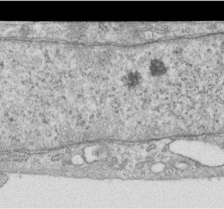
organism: Human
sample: Centriole in RPE cells